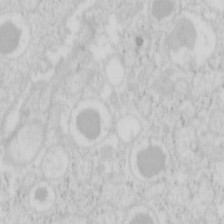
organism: Mouse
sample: Pancreas